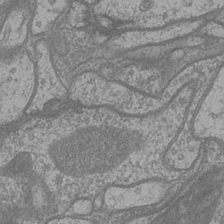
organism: Drosophila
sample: Optic medulla